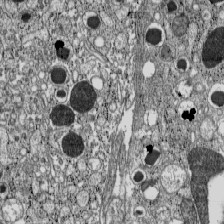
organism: C57BL Mouse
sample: Pancreatic islet